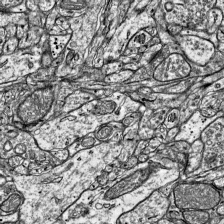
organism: Mouse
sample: Visual Cortex